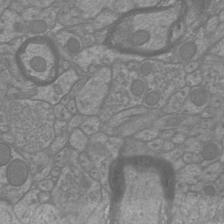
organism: Mouse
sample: Cortical neurons